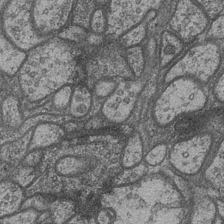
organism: Drosophila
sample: Optic medulla